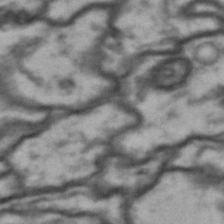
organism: Drosophila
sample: Brain